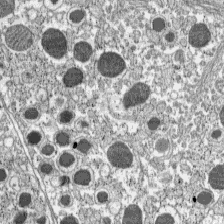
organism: C57BL Mouse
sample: Pancreatic islet